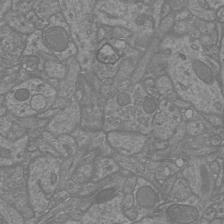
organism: Mouse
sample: Cortical neurons